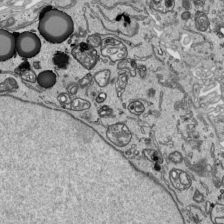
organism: Human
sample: Mitochondria in HCT116 cells